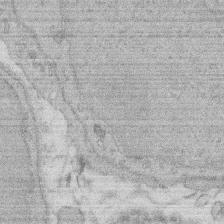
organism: Rat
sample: Salivary granule